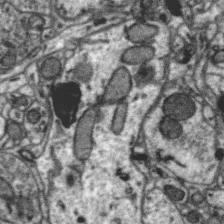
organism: Zebra finch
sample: Brain